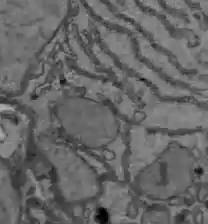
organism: C57BL Mouse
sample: Liver